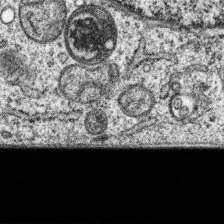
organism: Human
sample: HeLa cells